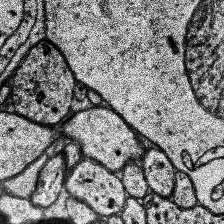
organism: Human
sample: Temporal Lobe